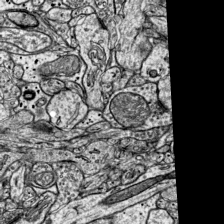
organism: Mouse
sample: Visual Cortex